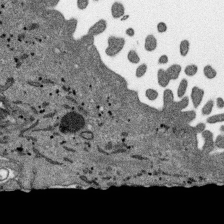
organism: Human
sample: Lung epithelial cells, uninfected (mock) control